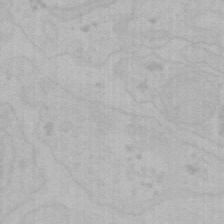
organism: Mouse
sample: Choroid plexus